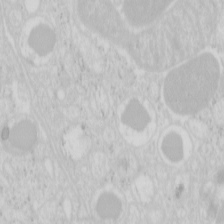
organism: Mouse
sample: Pancreas